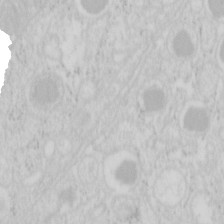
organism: Mouse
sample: Pancreas